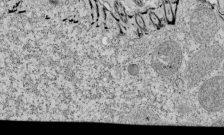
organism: Tetrahymena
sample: Cilia in tetrahymena